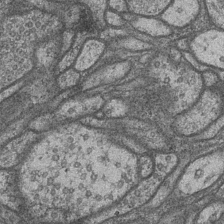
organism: Drosophila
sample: Optic medulla